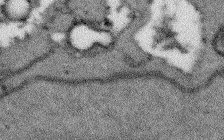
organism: Arabidopsis thaliana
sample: Root tip